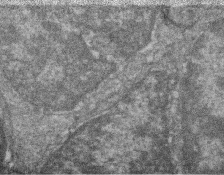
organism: Zebrafish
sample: Cilia; retinal pigment epithelium